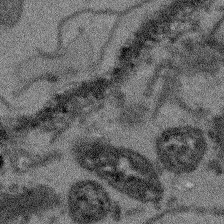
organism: Arabidopsis thaliana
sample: Root tip